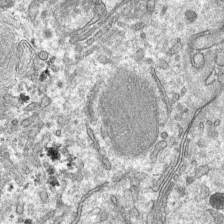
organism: Mouse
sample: Mouse hepatocytes